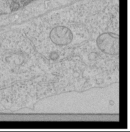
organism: Human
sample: Mitochondria in HCT116 cells